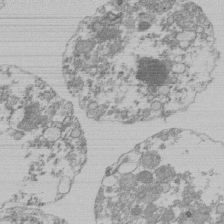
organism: Mouse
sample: Activated Pmel transgenic CD8+ T Cells